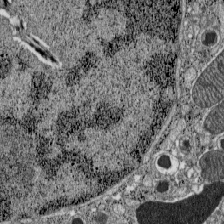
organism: C57BL Mouse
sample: Pancreatic islet